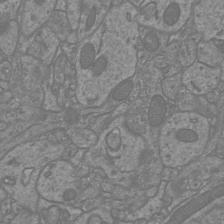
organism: Mouse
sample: Cortical neurons